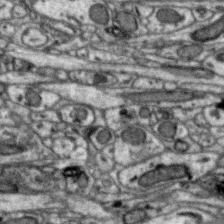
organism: Zebra finch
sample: Brain